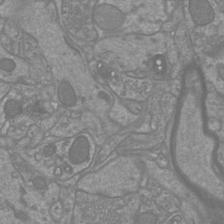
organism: Mouse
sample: Cortical neurons